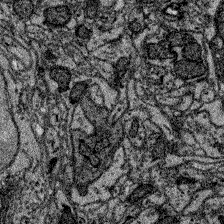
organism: Zebrafish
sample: Larval olfactory bulb